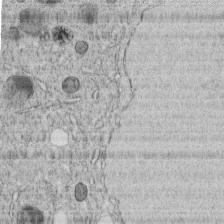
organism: C. elegans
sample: C. elegans embryo early stage